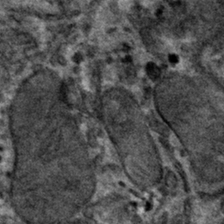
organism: Mouse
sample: Mouse hepatocytes